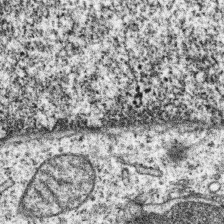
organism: Human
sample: HeLa cells